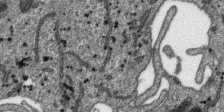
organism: Human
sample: Lung epithelial cells infected with SARS-CoV-2